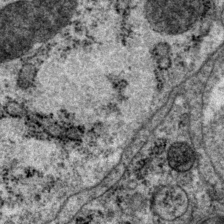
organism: P. pacificus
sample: Pharynx